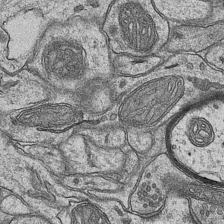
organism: Mouse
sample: CA1 Hippocampus